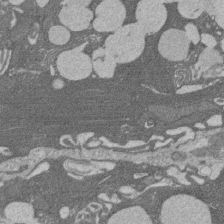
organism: Rat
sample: Salivary granule